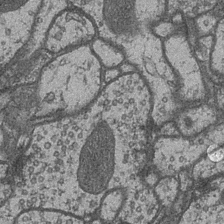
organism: Drosophila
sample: Optic medulla